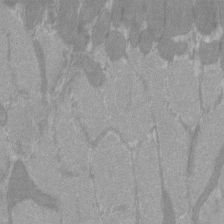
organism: C57BL Mouse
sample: Tibialis anterior muscle cell